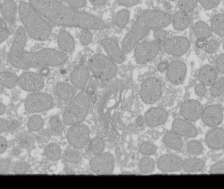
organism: Xenopus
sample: Cilia; centrioles in frog embryo cells